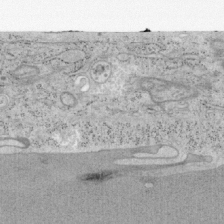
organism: Human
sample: HeLa cells